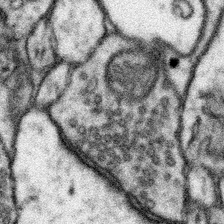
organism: Mouse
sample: Somatosensory cortex neuropil